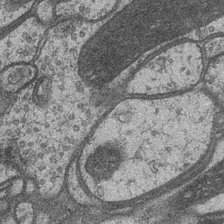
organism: Drosophila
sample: Optic medulla